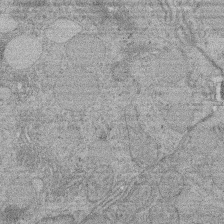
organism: Rat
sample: Salivary granule